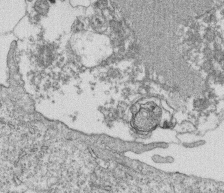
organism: Human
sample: HeLa cell HIV synapse